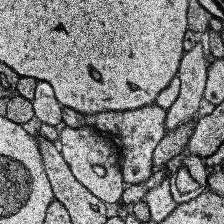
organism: Human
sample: Temporal Lobe